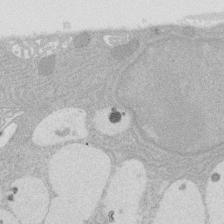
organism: Rat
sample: Salivary granule